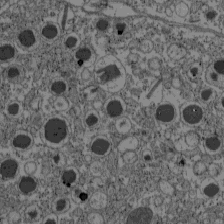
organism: C57BL Mouse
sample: Pancreatic islet